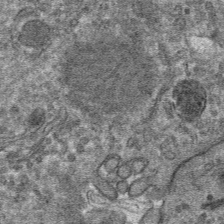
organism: Mouse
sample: Mouse hepatocytes